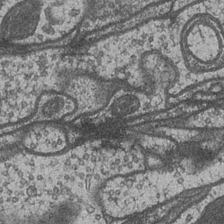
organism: Drosophila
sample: Optic medulla